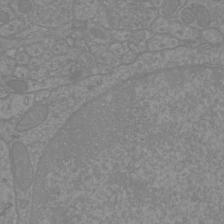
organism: Mouse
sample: Cortical neurons